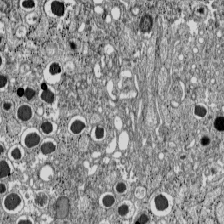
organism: C57BL Mouse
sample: Pancreatic islet